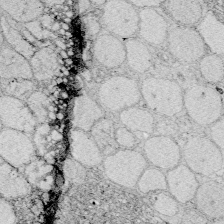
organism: Zebrafish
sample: Whole-Brain